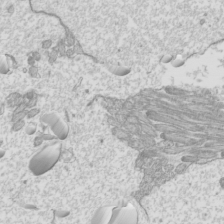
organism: Mouse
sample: Cilia; mouse epididymis